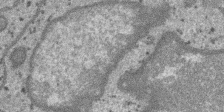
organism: Human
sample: Lung epithelial cells infected with SARS-CoV-2